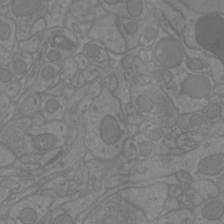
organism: Mouse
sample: Cortical neurons